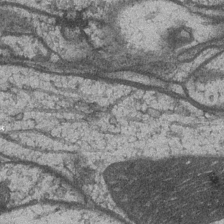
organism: Drosophila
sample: Optic medulla